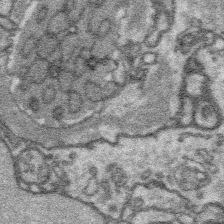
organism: Platynereis dumerilii